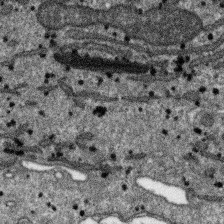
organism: Human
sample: Lung epithelial cells infected with SARS-CoV-2